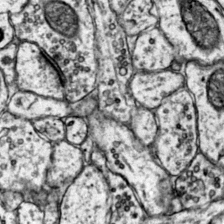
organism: Mouse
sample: Primary visual cortex